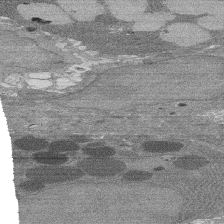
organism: Rat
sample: Salivary granule